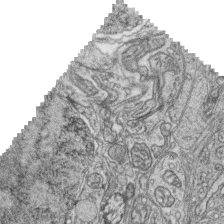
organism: Zebrafish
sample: synaptic ribbons in rod cells and cone cells